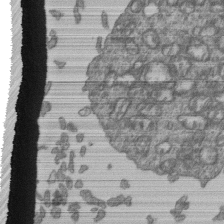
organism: Human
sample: Retinal organoid Rod and Cone cells